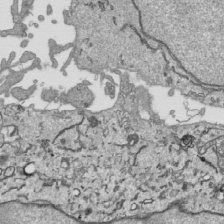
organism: Human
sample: Mitochondria in HCT116 cells